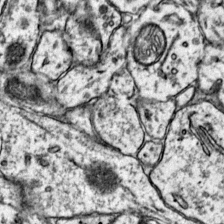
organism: Mouse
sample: Primary visual cortex